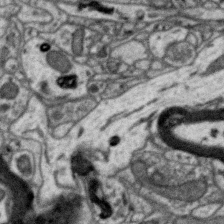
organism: Zebra finch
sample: Brain